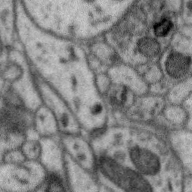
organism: Zebra finch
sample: Brain